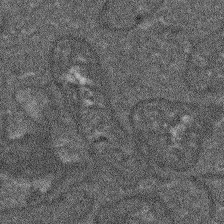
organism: Arabidopsis thaliana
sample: Root tip